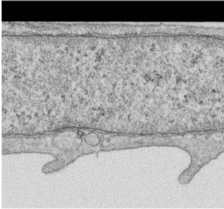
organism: Human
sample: Centriole in RPE cells